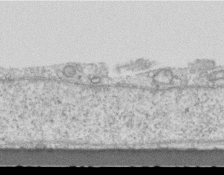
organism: Mouse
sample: Centriole in ependymal cells